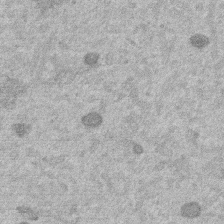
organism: Mouse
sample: Dividing mouse embryo 1 cell stage